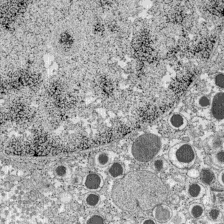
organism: C57BL Mouse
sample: Pancreatic islet